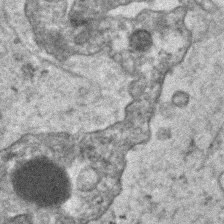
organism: Human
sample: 1205lu cells